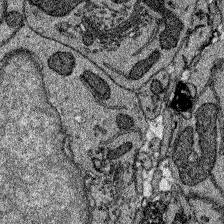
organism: Zebrafish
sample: Larval olfactory bulb